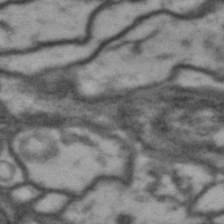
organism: Drosophila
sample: Brain